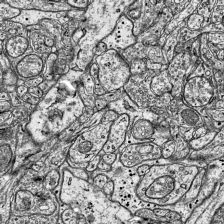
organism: Mouse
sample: Visual Cortex